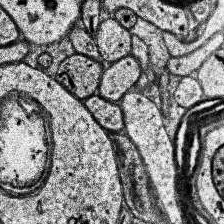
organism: Human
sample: Temporal Lobe